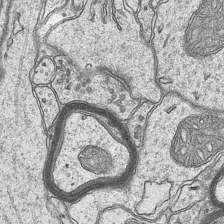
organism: Mouse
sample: CA1 Hippocampus